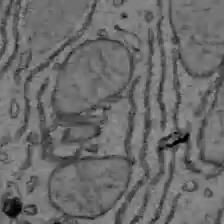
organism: C57BL Mouse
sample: Liver